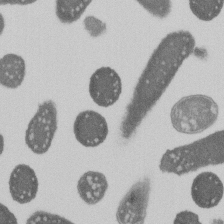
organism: E. coli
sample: Bacterial nucleoid